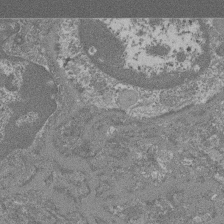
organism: Mouse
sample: Glomerulus